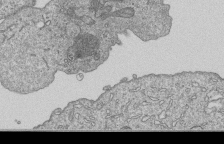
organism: Human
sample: MDA-MB-231 cells